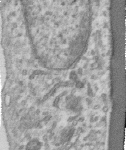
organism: Human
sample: Centriole in RPE cells